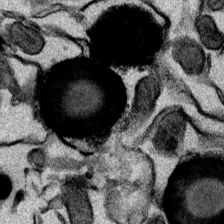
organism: Mouse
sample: Cancer cell death in ED-1 cells